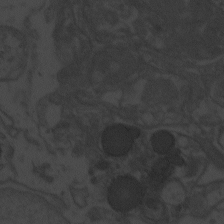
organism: Zebrafish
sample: Macrophage infected with Toxoplasma gondii